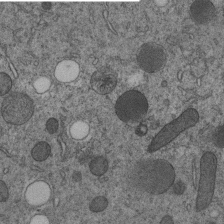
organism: C. elegans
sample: C. elegans embryo early stage